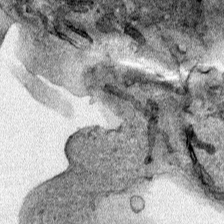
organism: Human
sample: Mitochondria in HCT116 cells